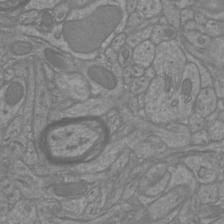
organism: Mouse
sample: Cortical neurons